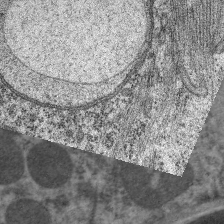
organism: C. elegans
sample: Pharynx